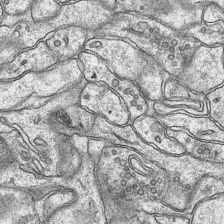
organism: Mouse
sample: CA1 Hippocampus